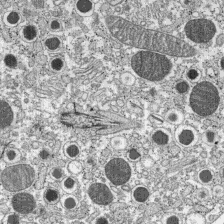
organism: C57BL Mouse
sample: Pancreatic islet